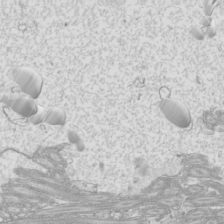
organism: Mouse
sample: Cilia; mouse epididymis